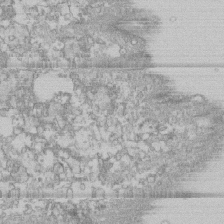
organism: Human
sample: CRL-1474